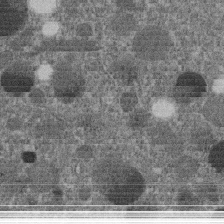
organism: C. elegans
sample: C. elegans embryo early stage